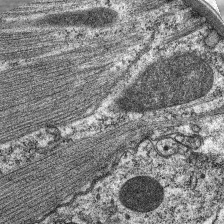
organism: C. elegans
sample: Pharynx